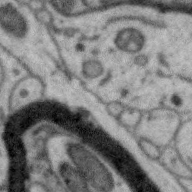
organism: Zebra finch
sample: Brain